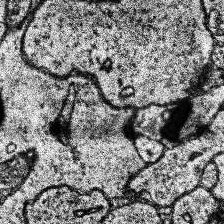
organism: Human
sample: Temporal Lobe